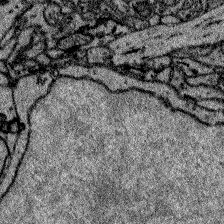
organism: Zebrafish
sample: Larval olfactory bulb